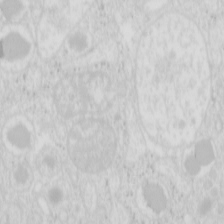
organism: Mouse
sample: Pancreas